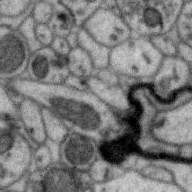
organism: Zebra finch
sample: Brain